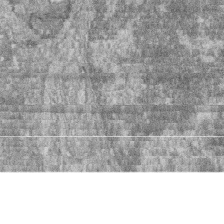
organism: Zebrafish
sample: Cilia; retinal pigment epithelium